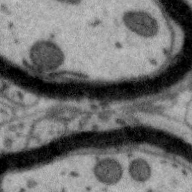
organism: Zebra finch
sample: Brain